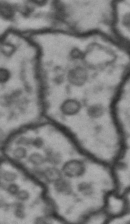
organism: Drosophila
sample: Brain